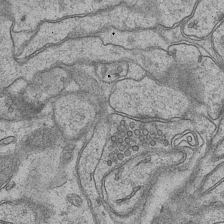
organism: Mouse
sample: CA1 Hippocampus